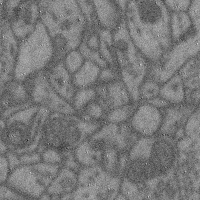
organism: Mouse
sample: Cerebral cortex